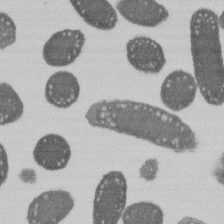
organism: E. coli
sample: Bacterial nucleoid